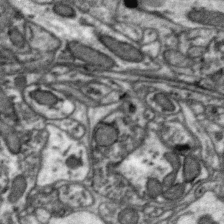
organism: Zebra finch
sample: Brain